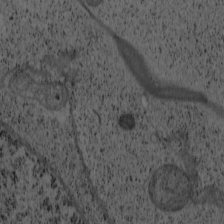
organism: African green monkey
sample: COS-7 cells